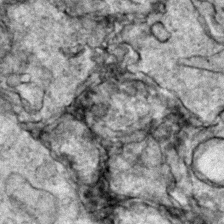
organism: Zebrafish